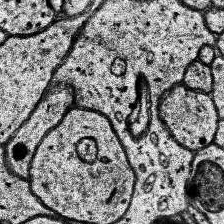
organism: Human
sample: Temporal Lobe